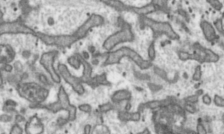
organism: Toxoplasma gondii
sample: Parasites in a vacuole inside a host cell